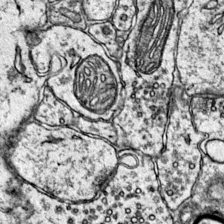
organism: Mouse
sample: Primary visual cortex